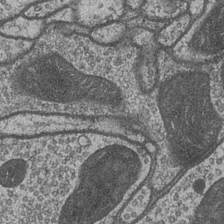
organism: Drosophila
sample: Optic medulla